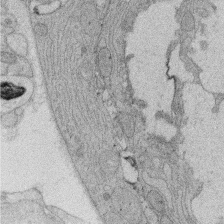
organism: Rat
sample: Salivary granule